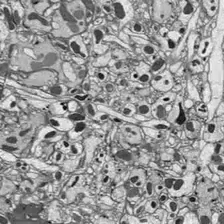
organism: Drosophila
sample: Optic lobe